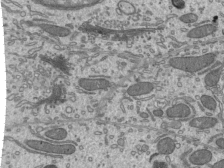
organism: Mouse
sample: Mouse epididymis efferent ductule cilia